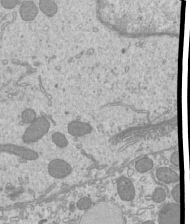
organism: Mouse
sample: Cilia; mouse epididymis